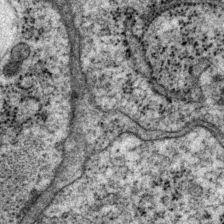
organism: P. pacificus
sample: Pharynx